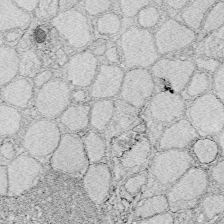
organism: Zebrafish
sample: Whole-Brain